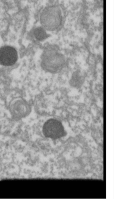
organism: Drosophila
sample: Cell division; meiosis; drosophila spermatocytes